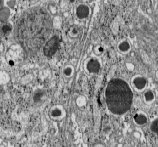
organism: C57BL Mouse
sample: Pancreatic islet